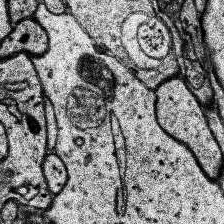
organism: Human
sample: Temporal Lobe